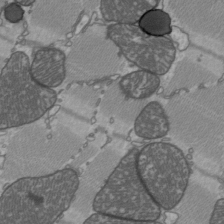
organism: C57BL Mouse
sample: Heart